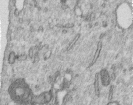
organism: Human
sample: Centriole in RPE cells